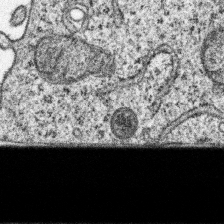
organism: Human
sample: HeLa cells